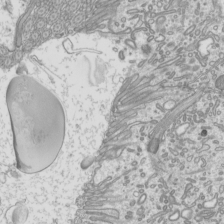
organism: Mouse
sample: Cilia; mouse epididymis